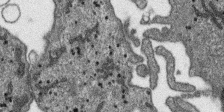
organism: Human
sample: Lung epithelial cells infected with SARS-CoV-2